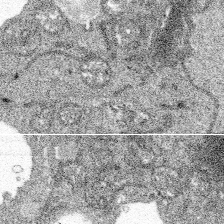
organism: Spongilla lacustris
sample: Multiple